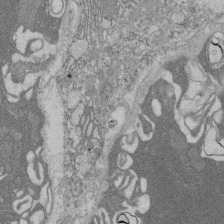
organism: Rat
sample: Salivary granule